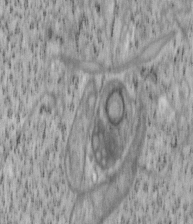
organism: Human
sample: HeLa cells